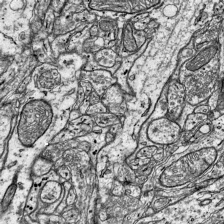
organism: Mouse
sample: Visual Cortex